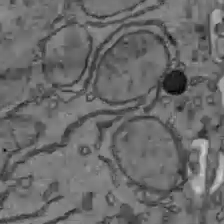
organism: C57BL Mouse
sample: Liver